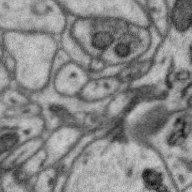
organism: Zebra finch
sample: Brain